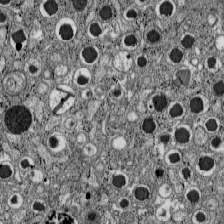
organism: C57BL Mouse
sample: Pancreatic islet